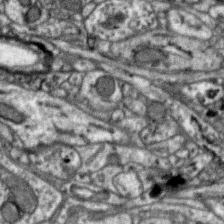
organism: Zebra finch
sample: Brain